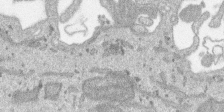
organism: Human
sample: Lung epithelial cells infected with SARS-CoV-2